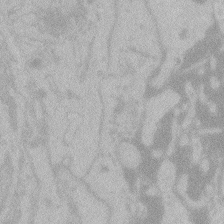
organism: Zebrafish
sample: Macrophage infected with Toxoplasma gondii